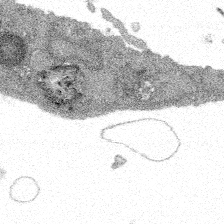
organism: Spongilla lacustris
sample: Multiple